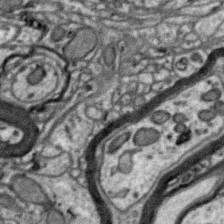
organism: Zebra finch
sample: Brain